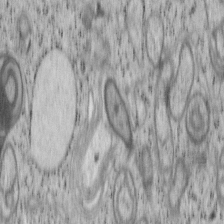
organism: Human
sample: HeLa cells